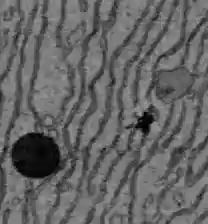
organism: C57BL Mouse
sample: Liver